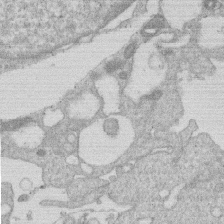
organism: Human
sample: Macrophage cells